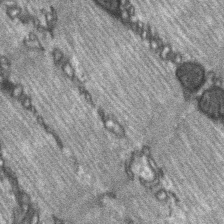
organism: C57BL Mouse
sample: Soleus